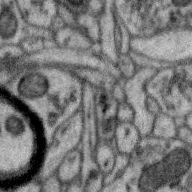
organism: Zebra finch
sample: Brain